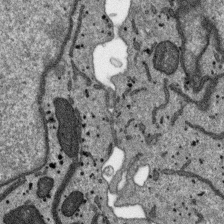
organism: Human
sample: Lung epithelial cells, uninfected (mock) control